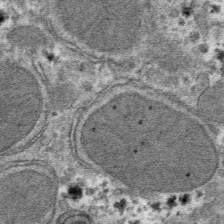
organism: Mouse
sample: Mouse hepatocytes